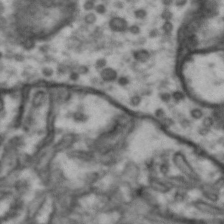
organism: Drosophila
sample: Brain